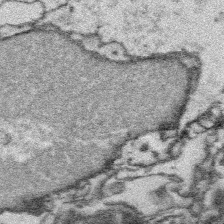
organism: Platynereis dumerilii